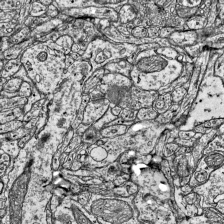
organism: Mouse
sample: Visual Cortex